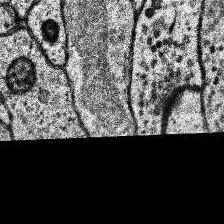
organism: Human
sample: Temporal Lobe